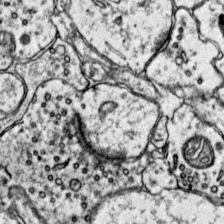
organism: Mouse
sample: Primary visual cortex